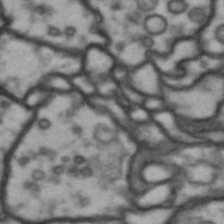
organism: Drosophila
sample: Brain